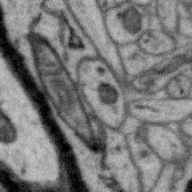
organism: Zebra finch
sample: Brain